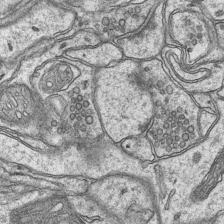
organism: Mouse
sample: CA1 Hippocampus